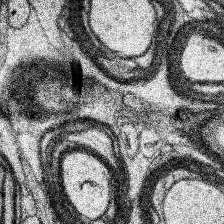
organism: Human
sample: Temporal Lobe